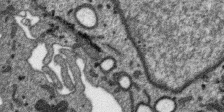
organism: Human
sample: Lung epithelial cells infected with SARS-CoV-2